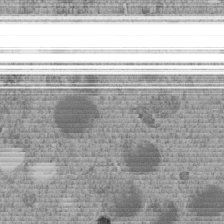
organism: C. elegans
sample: C. elegans embryo early stage